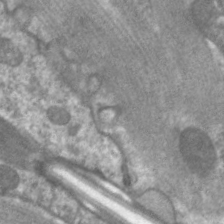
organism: C. elegans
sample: Pharynx